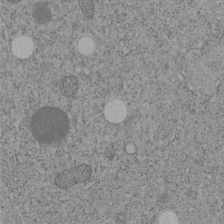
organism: C. elegans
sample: C. elegans embryo early stage